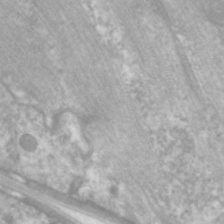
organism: C. elegans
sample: Pharynx